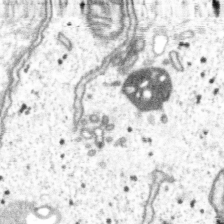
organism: Human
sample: HeLa cells